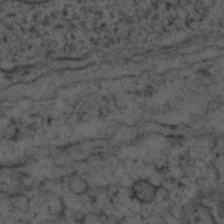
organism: Zebrafish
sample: Zebrafish embryo